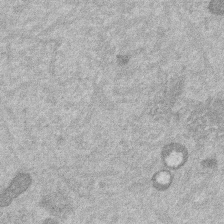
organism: Mouse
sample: Dividing mouse embryo 1 cell stage